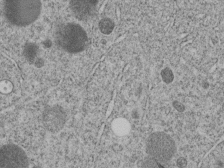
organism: C. elegans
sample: C. elegans embryo early stage